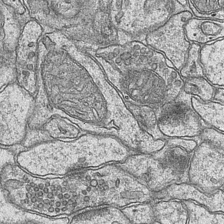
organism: Mouse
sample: CA1 Hippocampus